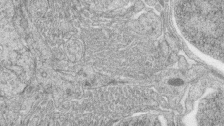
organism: Zebrafish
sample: synaptic ribbons in rod cells and cone cells